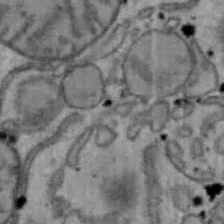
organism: Mouse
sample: Liver